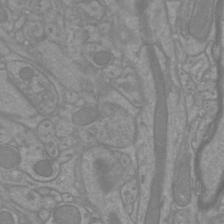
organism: Mouse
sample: Cortical neurons